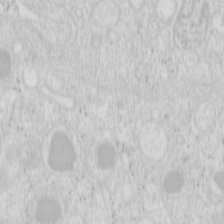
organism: Mouse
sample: Pancreas